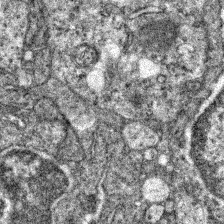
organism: Zebrafish